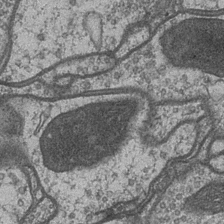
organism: Drosophila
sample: Optic medulla